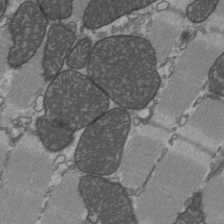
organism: C57BL Mouse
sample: Heart